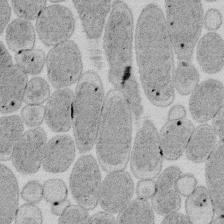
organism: E. coli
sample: Bacterial nucleoid